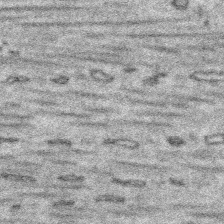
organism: Platynereis dumerilii